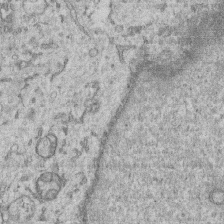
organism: Human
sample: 1205lu cells